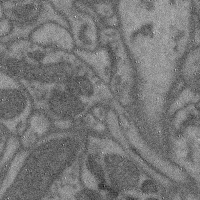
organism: Mouse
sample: Cerebral cortex